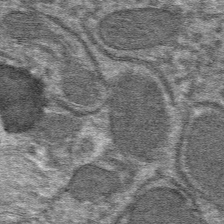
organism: Mouse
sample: Mouse hepatocytes